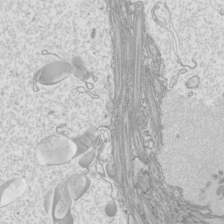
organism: Mouse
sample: Cilia; mouse epididymis